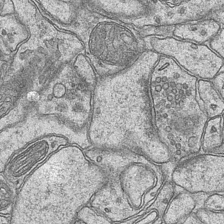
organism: Mouse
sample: CA1 Hippocampus